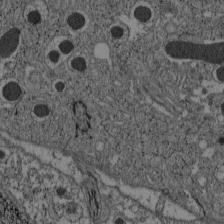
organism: C57BL Mouse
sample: Pancreatic islet